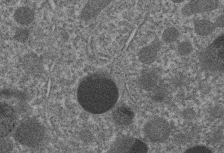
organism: C. elegans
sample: C. elegans embryo early stage